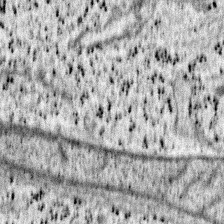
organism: Human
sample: HeLa cells